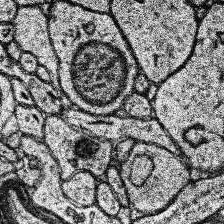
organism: Human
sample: Temporal Lobe